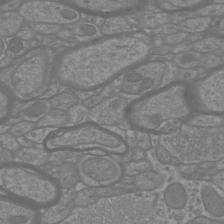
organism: Mouse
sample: Cortical neurons